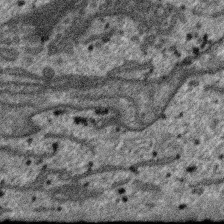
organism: Human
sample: Lung epithelial cells infected with SARS-CoV-2